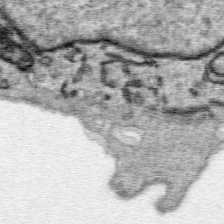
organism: Human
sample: HeLa cells